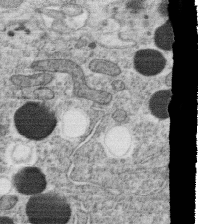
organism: C. elegans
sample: C. elegans oocyte; sperm cells